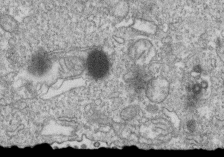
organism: Human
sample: HeLa cell HIV synapse